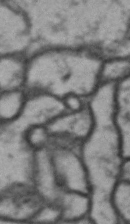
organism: Drosophila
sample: Brain